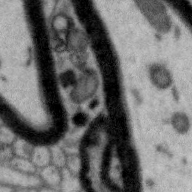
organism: Zebra finch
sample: Brain